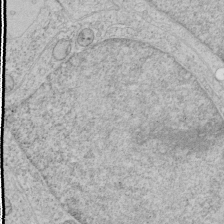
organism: Human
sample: Mitochondria in HCT116 cells